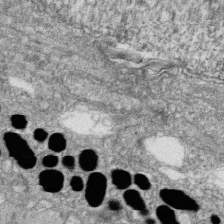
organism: Zebrafish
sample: Cilia; retinal pigment epithelium